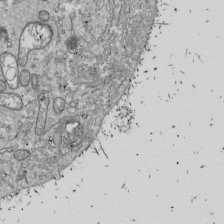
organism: Drosophila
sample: Cell division; meiosis; drosophila spermatocytes